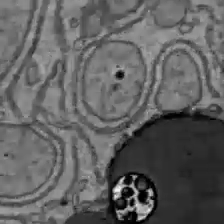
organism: C57BL Mouse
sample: Liver